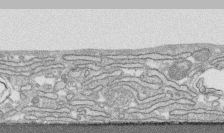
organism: Human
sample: CRL-1474